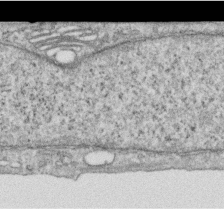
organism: Human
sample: Centriole in RPE cells